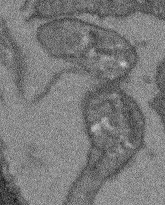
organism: Arabidopsis thaliana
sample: Root tip